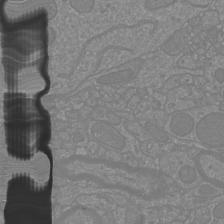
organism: Mouse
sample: Cortical neurons